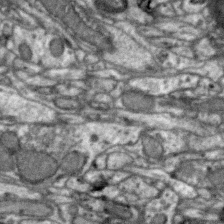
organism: Zebra finch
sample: Brain